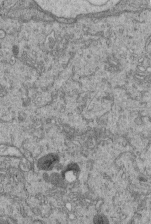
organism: Human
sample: Retinal organoid Rod and Cone cells